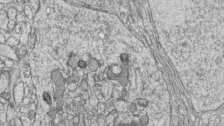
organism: Zebrafish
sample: synaptic ribbons in rod cells and cone cells